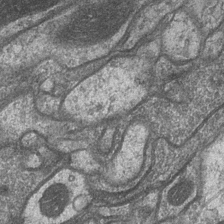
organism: Drosophila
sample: Optic medulla